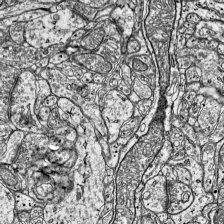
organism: Mouse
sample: Visual Cortex